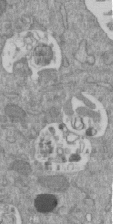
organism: Mouse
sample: ED-1 cell nuclei; centrioles